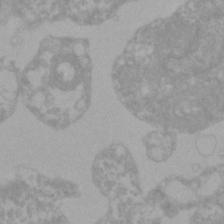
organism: Zebrafish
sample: Zebrafish embryo